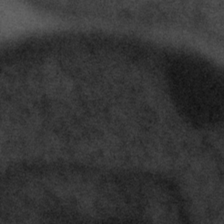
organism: Tuwongella immobilis